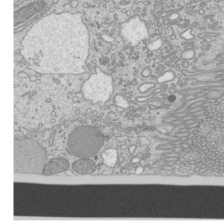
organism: Mouse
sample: Cilia; mouse epididymis